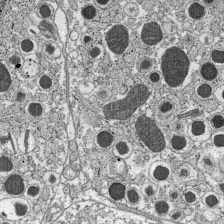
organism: C57BL Mouse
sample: Pancreatic islet